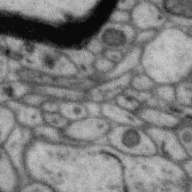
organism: Zebra finch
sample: Brain